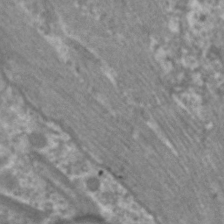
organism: C. elegans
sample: Pharynx